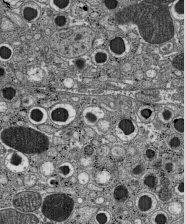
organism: C57BL Mouse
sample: Pancreatic islet